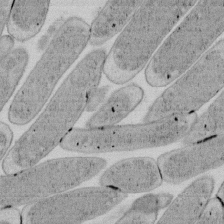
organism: E. coli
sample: Bacterial nucleoid